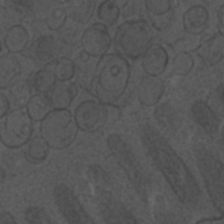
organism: C. elegans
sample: C. elegans embryo